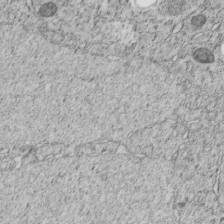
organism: C. elegans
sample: C. elegans embryo early stage